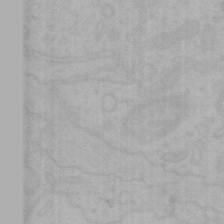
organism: Mouse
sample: Choroid plexus